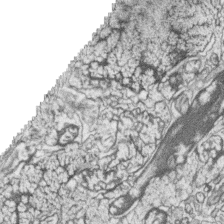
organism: Zebrafish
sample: synaptic ribbons in rod cells and cone cells